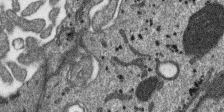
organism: Human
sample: Lung epithelial cells infected with SARS-CoV-2